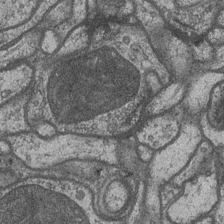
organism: Drosophila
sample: Optic medulla